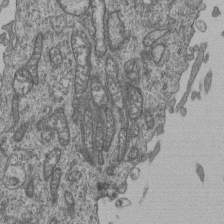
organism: Human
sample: Retinal organoid Rod and Cone cells